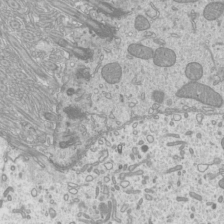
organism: Mouse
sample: Cilia; mouse epididymis